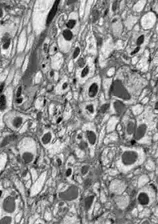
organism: Drosophila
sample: Optic lobe